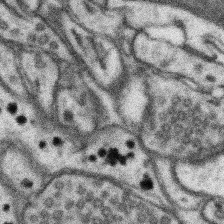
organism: Mouse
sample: Somatosensory cortex neuropil